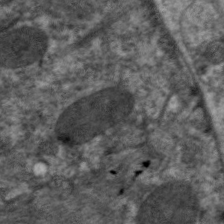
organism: C. elegans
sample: Pharynx